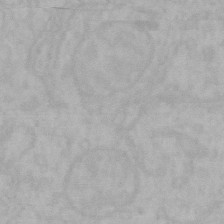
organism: Mouse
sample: Choroid plexus